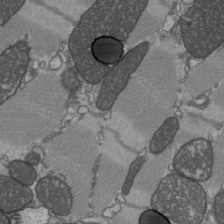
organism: C57BL Mouse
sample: Heart